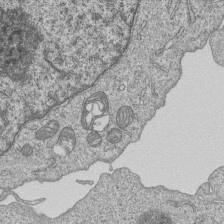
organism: Human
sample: MDA-MB-231 cells